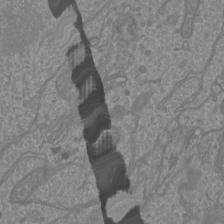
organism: Mouse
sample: Cortical neurons